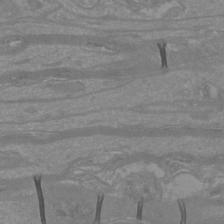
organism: Mouse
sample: Cortical neurons